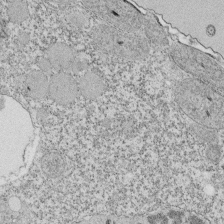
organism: Tetrahymena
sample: Cilia in tetrahymena